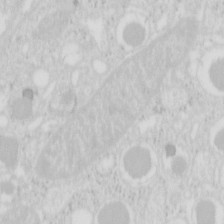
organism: Mouse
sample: Pancreas